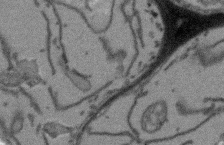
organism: Arabidopsis thaliana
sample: Root tip